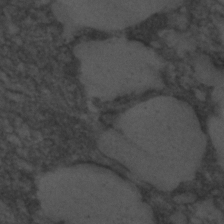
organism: C. elegans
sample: C. elegans embryo